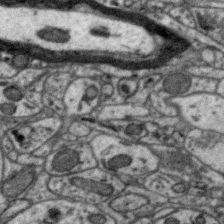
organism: Zebra finch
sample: Brain